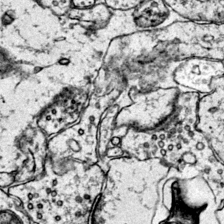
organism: Mouse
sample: Primary visual cortex